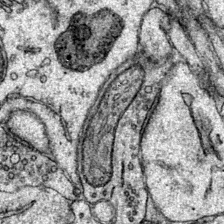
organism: Mouse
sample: Primary visual cortex